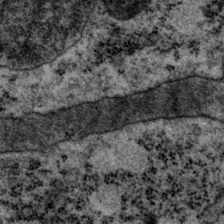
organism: P. pacificus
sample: Pharynx